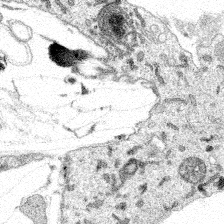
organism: Spongilla lacustris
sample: Multiple